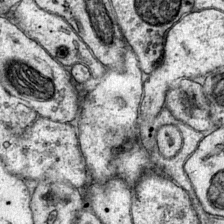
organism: Mouse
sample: Primary visual cortex